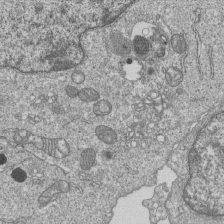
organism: Human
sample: MDA-MB-231 cells